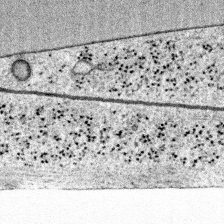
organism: Human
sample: HeLa cells